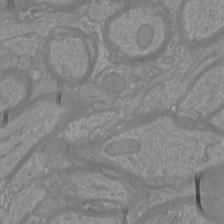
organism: Mouse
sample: Cortical neurons